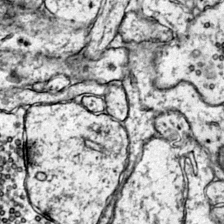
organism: Mouse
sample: Primary visual cortex